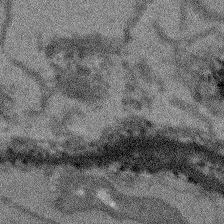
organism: Arabidopsis thaliana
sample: Root tip